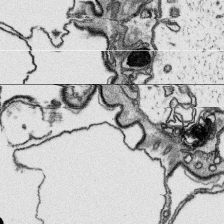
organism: Platynereis dumerilii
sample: Parapodia